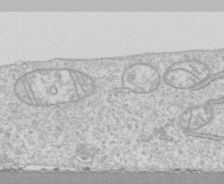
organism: Human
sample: CRL-1474